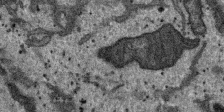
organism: Human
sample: Lung epithelial cells, uninfected (mock) control